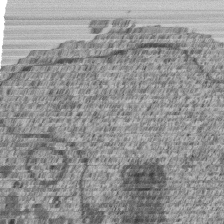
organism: Human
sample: MDA-MB-231 cells